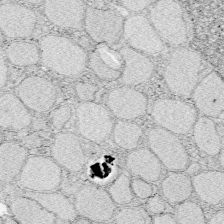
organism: Zebrafish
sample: Whole-Brain